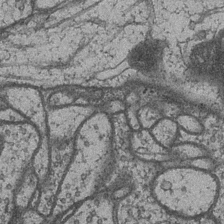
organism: Drosophila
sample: Optic medulla